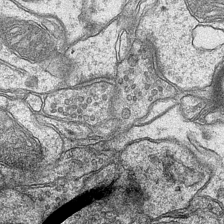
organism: Mouse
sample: CA1 Hippocampus